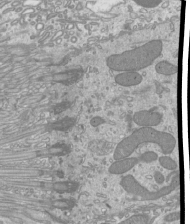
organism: Mouse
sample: Cilia; mouse epididymis